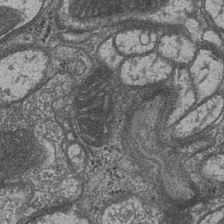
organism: Drosophila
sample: Optic medulla